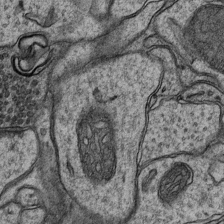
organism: Mouse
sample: CA1 Hippocampus